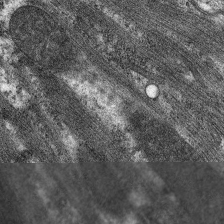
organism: C. elegans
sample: Pharynx